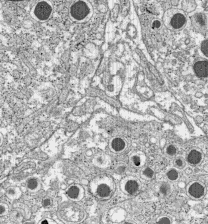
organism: C57BL Mouse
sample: Pancreatic islet